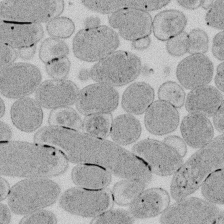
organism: E. coli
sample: Bacterial nucleoid